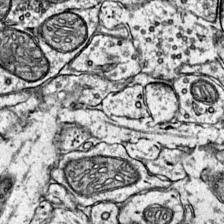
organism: Mouse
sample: Primary visual cortex